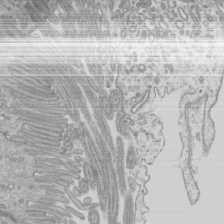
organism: Mouse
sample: Cilia; mouse epididymis